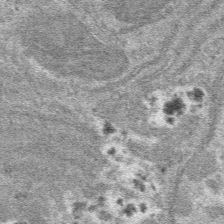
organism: Mouse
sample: Mouse hepatocytes